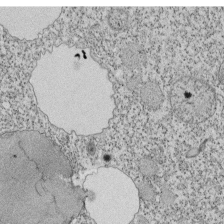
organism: Tetrahymena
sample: Cilia in tetrahymena